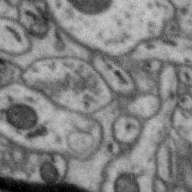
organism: Zebra finch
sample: Brain